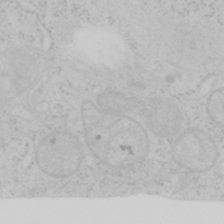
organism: Mouse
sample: OT-I killer T cells with ID8 ovarian cancer cells